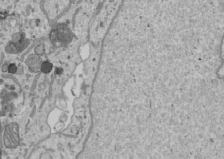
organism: Human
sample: Mitochondria in U2OS cells